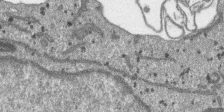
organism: Human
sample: Lung epithelial cells infected with SARS-CoV-2